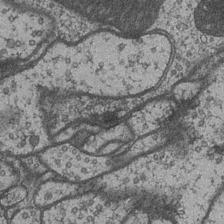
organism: Drosophila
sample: Optic medulla